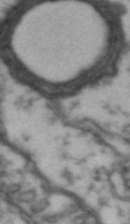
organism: Drosophila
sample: Brain